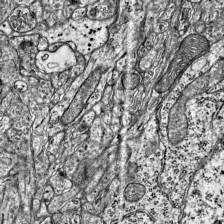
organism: Mouse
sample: Visual Cortex